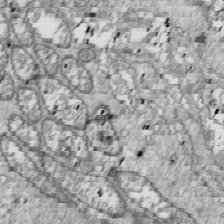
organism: Drosophila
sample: Cell division; meiosis; drosophila spermatocytes